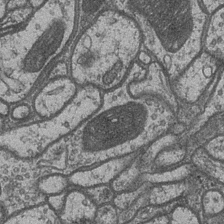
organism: Drosophila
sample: Optic medulla